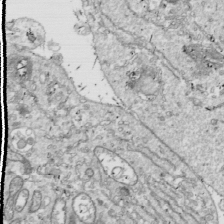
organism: Drosophila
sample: Cell division; meiosis; drosophila spermatocytes